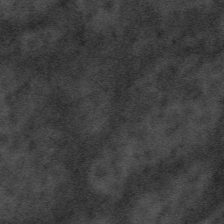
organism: Tuwongella immobilis